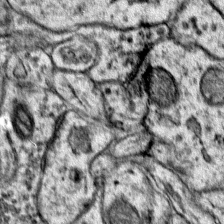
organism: Mouse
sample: Primary visual cortex